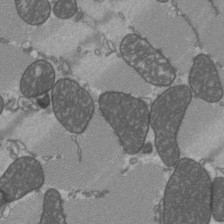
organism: C57BL Mouse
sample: Heart